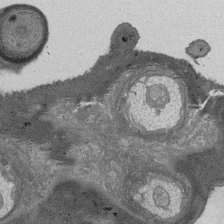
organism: Drosophila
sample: Antenna